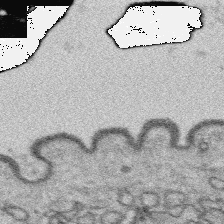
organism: Platynereis dumerilii